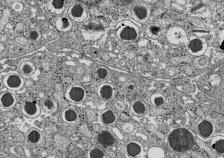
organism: C57BL Mouse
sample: Pancreatic islet